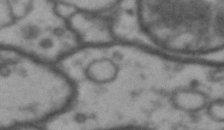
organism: Drosophila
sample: Brain